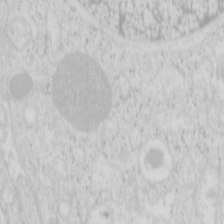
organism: Mouse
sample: Pancreas